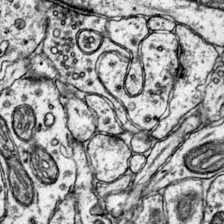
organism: Mouse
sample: Primary visual cortex